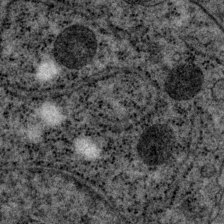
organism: P. pacificus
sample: Pharynx